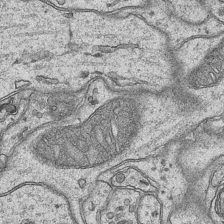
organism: Mouse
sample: CA1 Hippocampus